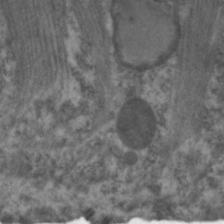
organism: C. elegans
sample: Pharynx